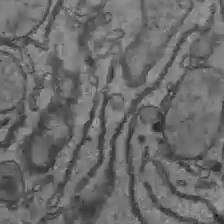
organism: C57BL Mouse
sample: Liver